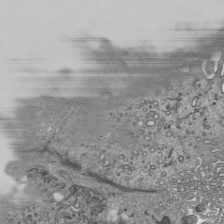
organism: Mouse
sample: Mouse epididymis efferent ductule cilia